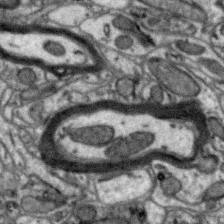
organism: Zebra finch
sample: Brain